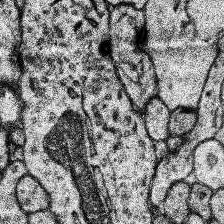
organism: Human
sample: Temporal Lobe